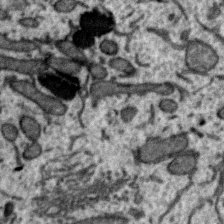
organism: Zebra finch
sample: Brain